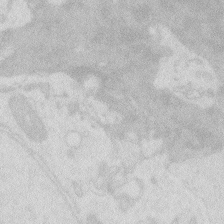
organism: Zebrafish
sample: Macrophage